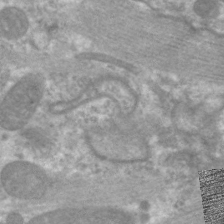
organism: C. elegans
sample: Pharynx